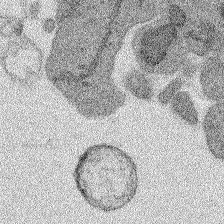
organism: Human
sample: HeLa cells